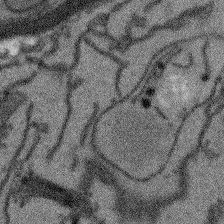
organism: Arabidopsis thaliana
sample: Root tip